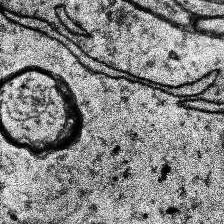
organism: Human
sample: Temporal Lobe